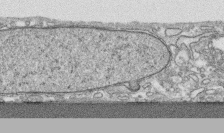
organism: Human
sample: CRL-1474